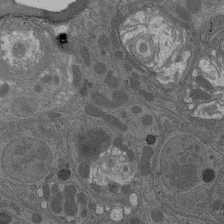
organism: Drosophila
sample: Antenna